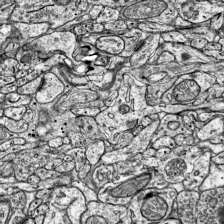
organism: Mouse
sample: Visual Cortex